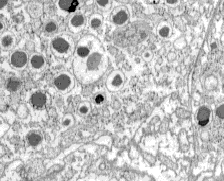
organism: C57BL Mouse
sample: Pancreatic islet